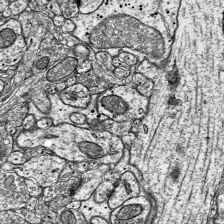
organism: Mouse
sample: Visual Cortex